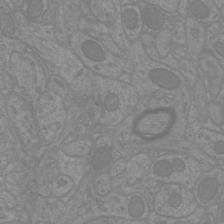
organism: Mouse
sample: Cortical neurons